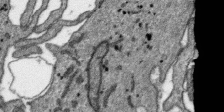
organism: Human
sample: Lung epithelial cells, uninfected (mock) control